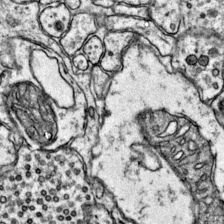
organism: Mouse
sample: Primary visual cortex